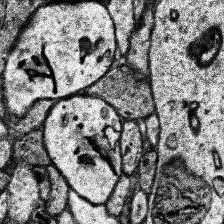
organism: Human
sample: Temporal Lobe